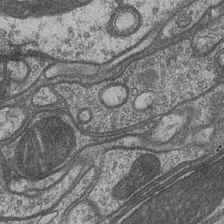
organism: Drosophila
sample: Optic medulla